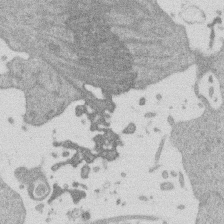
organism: Mouse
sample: Dividing mouse embryo 1 cell stage